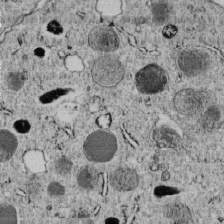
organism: C. elegans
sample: C. elegans embryo early stage